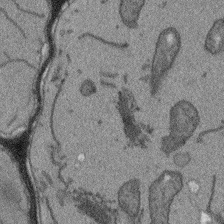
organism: Arabidopsis thaliana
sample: Root tip